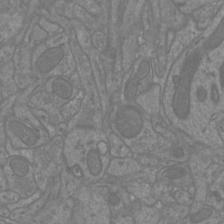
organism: Mouse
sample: Cortical neurons